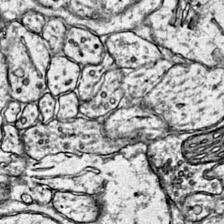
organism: Mouse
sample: Primary visual cortex